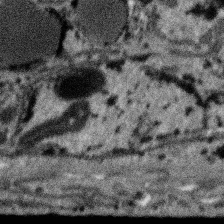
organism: Human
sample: Lung epithelial cells infected with SARS-CoV-2